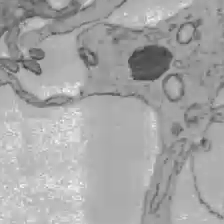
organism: C57BL Mouse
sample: Liver